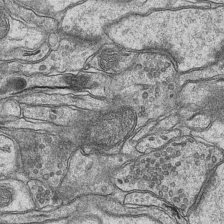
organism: Mouse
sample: CA1 Hippocampus